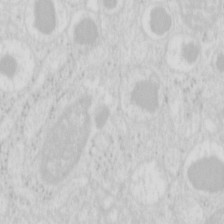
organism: Mouse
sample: Pancreas